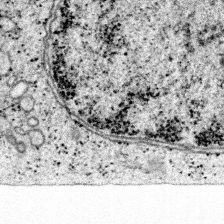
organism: Human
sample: HeLa cells